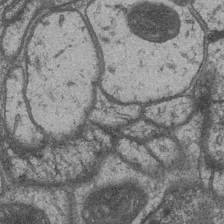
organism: Drosophila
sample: Optic medulla